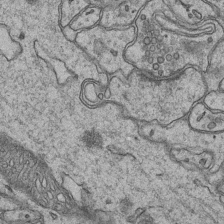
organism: Mouse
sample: CA1 Hippocampus